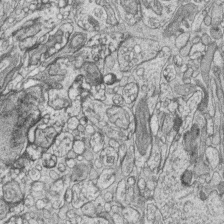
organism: Zebrafish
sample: synaptic ribbons in rod cells and cone cells